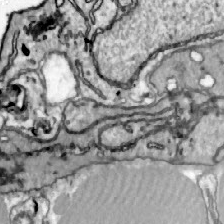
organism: Zebrafish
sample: Actinotrichia fibers